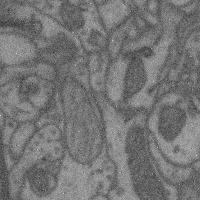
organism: Mouse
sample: Cerebral cortex